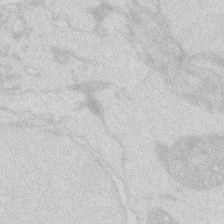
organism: Zebrafish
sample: Macrophage